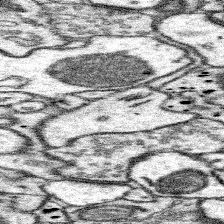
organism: Mouse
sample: Somatosensory cortex neuropil